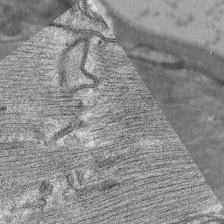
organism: C. elegans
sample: Pharynx